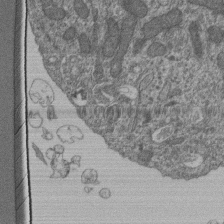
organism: Human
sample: Retinal organoid Rod and Cone cells